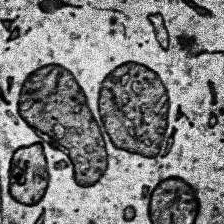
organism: Human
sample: Temporal Lobe